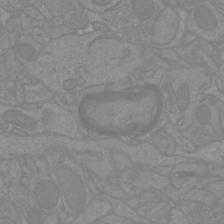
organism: Mouse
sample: Cortical neurons